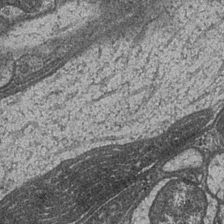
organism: Drosophila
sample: Optic medulla